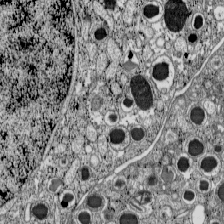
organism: C57BL Mouse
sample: Pancreatic islet